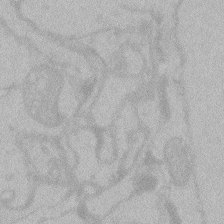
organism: Zebrafish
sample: Macrophage infected with Toxoplasma gondii